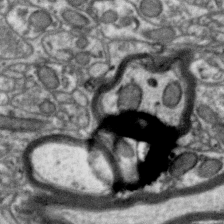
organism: Zebra finch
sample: Brain